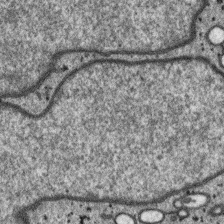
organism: Human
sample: Lung epithelial cells infected with SARS-CoV-2